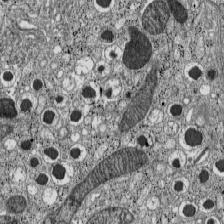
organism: C57BL Mouse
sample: Pancreatic islet